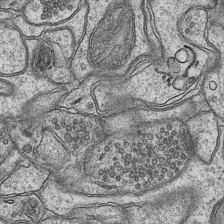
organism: Mouse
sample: CA1 Hippocampus